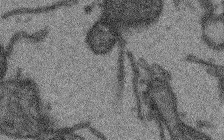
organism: Arabidopsis thaliana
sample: Root tip